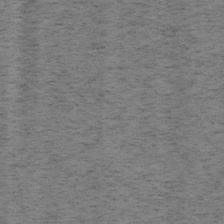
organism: Mouse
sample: OT-I killer T cells with ID8 ovarian cancer cells